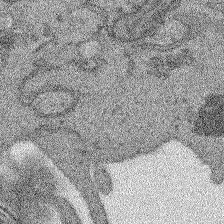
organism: Human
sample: HeLa cells